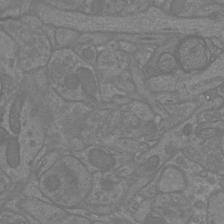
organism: Mouse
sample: Cortical neurons